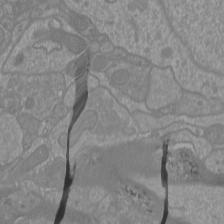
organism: Mouse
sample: Cortical neurons